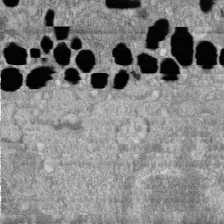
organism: Zebrafish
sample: Cilia; retinal pigment epithelium